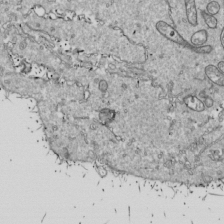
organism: Drosophila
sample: Cell division; meiosis; drosophila spermatocytes